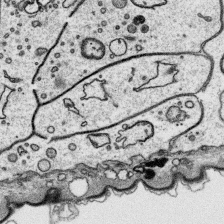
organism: Platynereis dumerilii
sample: Parapodia